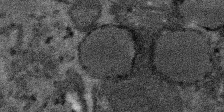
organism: Human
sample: Lung epithelial cells infected with SARS-CoV-2